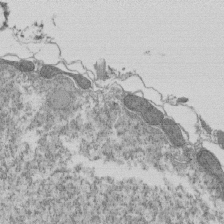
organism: Tetrahymena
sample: Cilia in tetrahymena